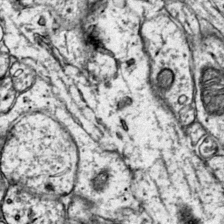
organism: Mouse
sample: Primary visual cortex